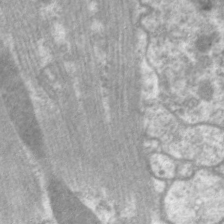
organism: C. elegans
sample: Pharynx